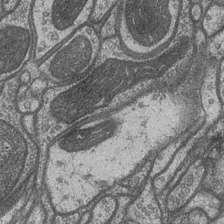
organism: Drosophila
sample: Optic medulla